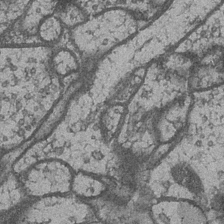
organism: Drosophila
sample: Optic medulla